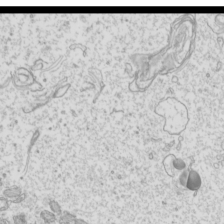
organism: Mouse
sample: Cilia; mouse epididymis